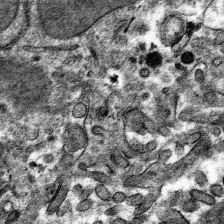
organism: Mouse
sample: Mouse hepatocytes